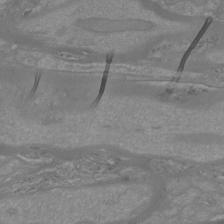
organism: Mouse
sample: Cortical neurons